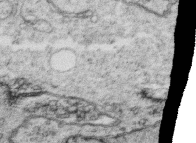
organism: C. elegans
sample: C. elegans oocyte; sperm cells